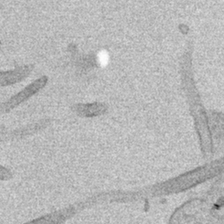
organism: Human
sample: Mitochondria in HCT116 cells